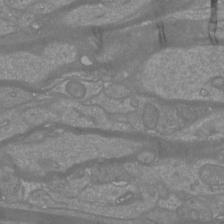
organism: Mouse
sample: Cortical neurons